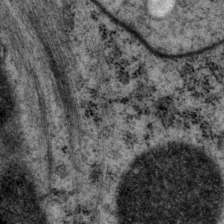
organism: P. pacificus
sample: Pharynx